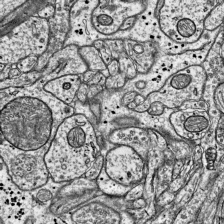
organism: Mouse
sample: Visual Cortex